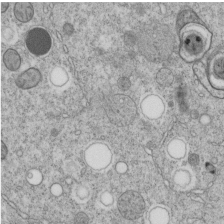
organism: C. elegans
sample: C. elegans embryo early stage